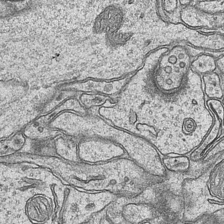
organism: Mouse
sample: CA1 Hippocampus